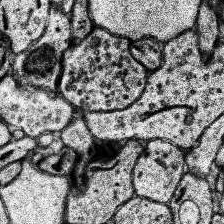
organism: Human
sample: Temporal Lobe